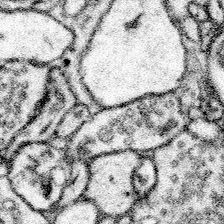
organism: Mouse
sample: Somatosensory cortex neuropil